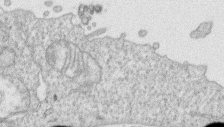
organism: Human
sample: HeLa cell HIV synapse